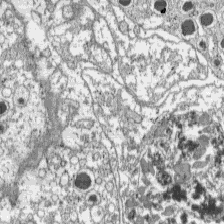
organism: C57BL Mouse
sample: Pancreatic islet